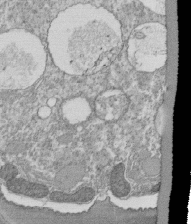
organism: Tetrahymena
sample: Cilia in tetrahymena